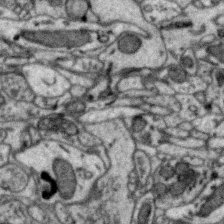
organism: Zebra finch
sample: Brain